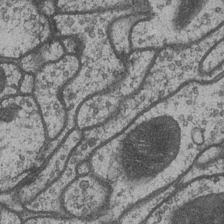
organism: Drosophila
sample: Optic medulla